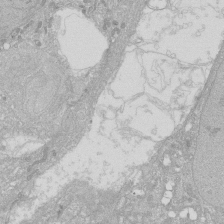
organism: Human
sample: Caco-2 cells